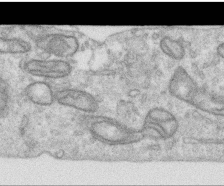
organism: Human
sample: Centriole in RPE cells